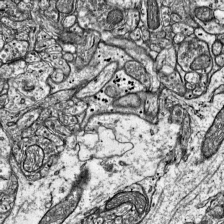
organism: Mouse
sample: Visual Cortex